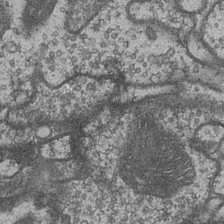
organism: Drosophila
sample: Optic medulla